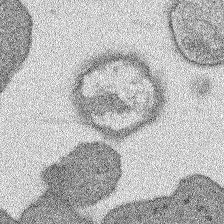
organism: Human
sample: HeLa cells